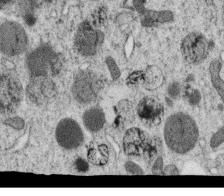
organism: C. elegans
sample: C. elegans oocyte; sperm cells